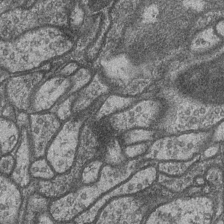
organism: Drosophila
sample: Optic medulla